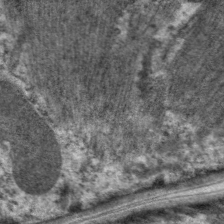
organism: C. elegans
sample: Pharynx